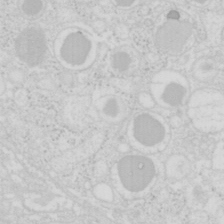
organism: Mouse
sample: Pancreas